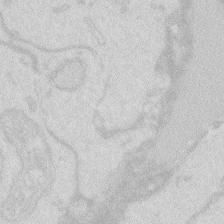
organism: Zebrafish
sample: Macrophage